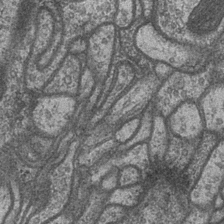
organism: Drosophila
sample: Optic medulla